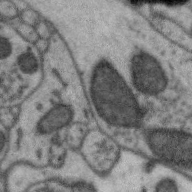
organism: Zebra finch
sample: Brain